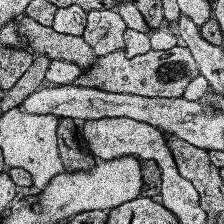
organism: Human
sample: Temporal Lobe